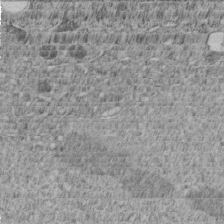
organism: C. elegans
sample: C. elegans embryo early stage